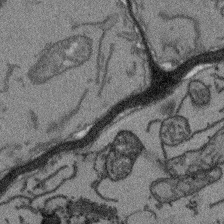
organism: Arabidopsis thaliana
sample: Root tip